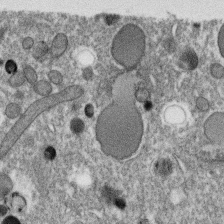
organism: C. elegans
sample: C. elegans oocyte; sperm cells